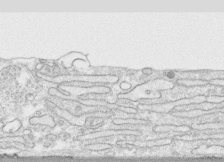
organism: Human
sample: CRL-1474